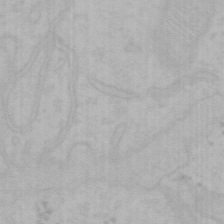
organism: Mouse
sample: Choroid plexus